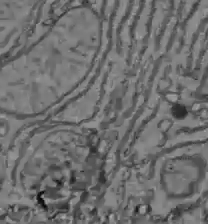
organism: C57BL Mouse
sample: Liver